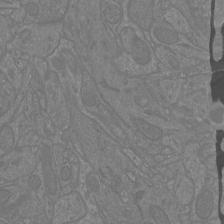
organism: Mouse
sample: Cortical neurons